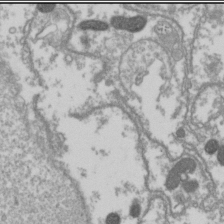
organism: Drosophila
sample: Cell division; meiosis; drosophila spermatocytes